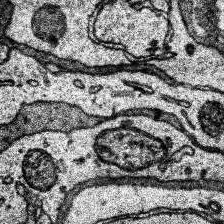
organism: Human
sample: Temporal Lobe